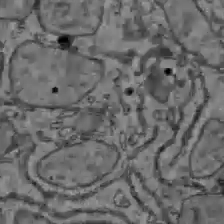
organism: C57BL Mouse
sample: Liver